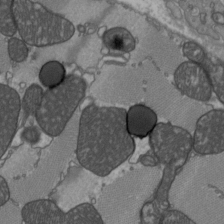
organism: C57BL Mouse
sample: Heart